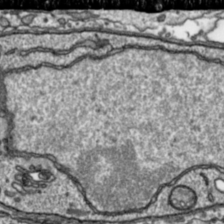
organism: Toxoplasma gondii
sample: Parasites in a vacuole inside a host cell